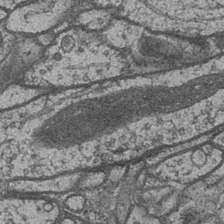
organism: Drosophila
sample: Optic medulla